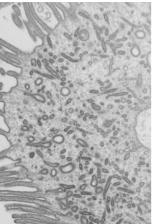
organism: Mouse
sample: Mouse epididymis efferent ductule cilia